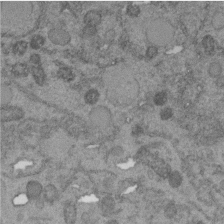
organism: C. elegans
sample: C. elegans embryo early stage